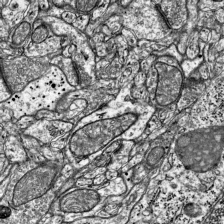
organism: Mouse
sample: Visual Cortex